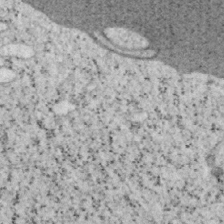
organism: Mouse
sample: OT-I killer T cells with ID8 ovarian cancer cells